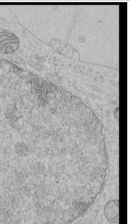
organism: Human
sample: Mitochondria in HCT116 cells